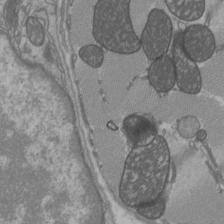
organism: C57BL Mouse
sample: Heart